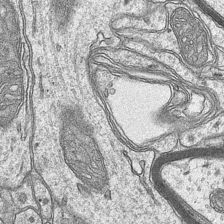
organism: Mouse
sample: CA1 Hippocampus